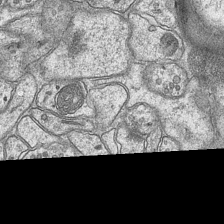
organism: Mouse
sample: CA1 Hippocampus